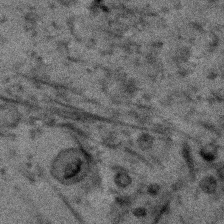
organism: Human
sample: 1205lu cells